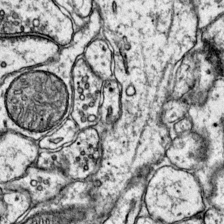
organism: Mouse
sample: Primary visual cortex